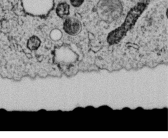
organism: C. elegans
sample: C. elegans embryo early stage